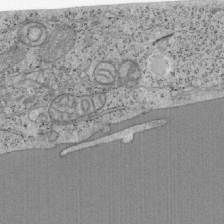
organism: Human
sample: HeLa cells